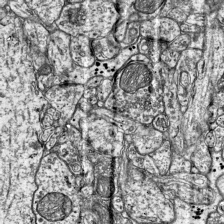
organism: Mouse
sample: Visual Cortex